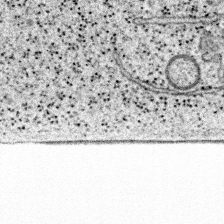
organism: Human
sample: HeLa cells